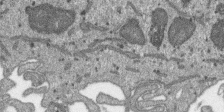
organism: Human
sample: Lung epithelial cells infected with SARS-CoV-2